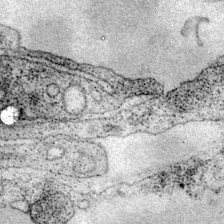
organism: Mouse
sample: Primary visual cortex